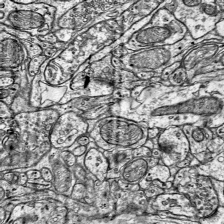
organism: Mouse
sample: Visual Cortex